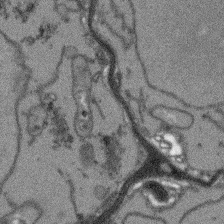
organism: Arabidopsis thaliana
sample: Root tip